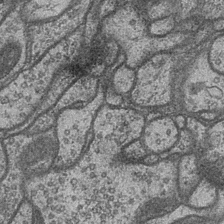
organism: Drosophila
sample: Optic medulla